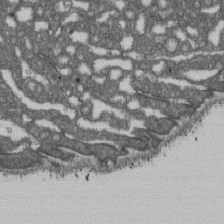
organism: Drosophila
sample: Nephrocyte